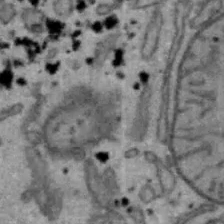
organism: Mouse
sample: Liver